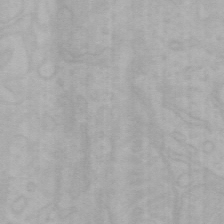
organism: Mouse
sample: Choroid plexus